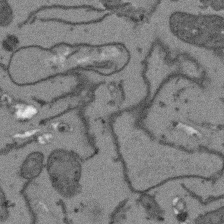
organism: Arabidopsis thaliana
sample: Root tip